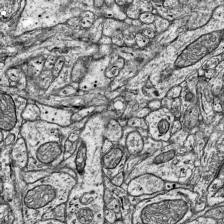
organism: Mouse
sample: Visual Cortex